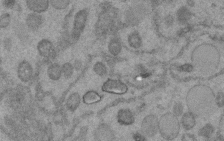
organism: C. elegans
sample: C. elegans embryo early stage